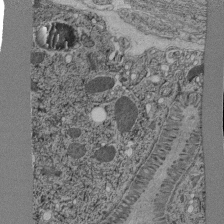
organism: C. elegans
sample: C. elegans pharynx